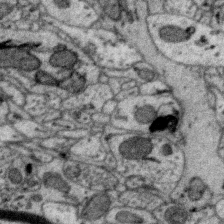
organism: Zebra finch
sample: Brain